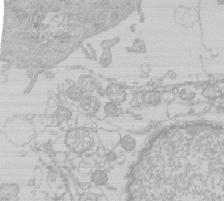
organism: Human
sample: Macrophage cells